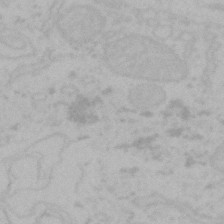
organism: Mouse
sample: Choroid plexus